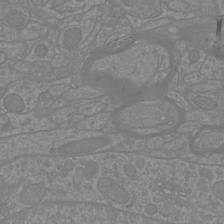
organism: Mouse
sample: Cortical neurons